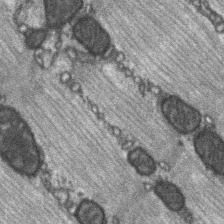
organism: C57BL Mouse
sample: Soleus